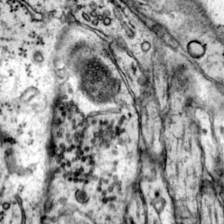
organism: Mouse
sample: Primary visual cortex